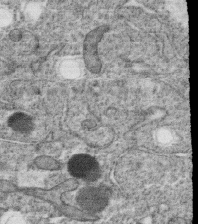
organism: C. elegans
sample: C. elegans oocyte; sperm cells